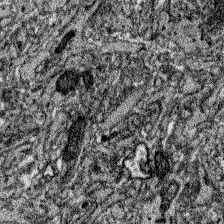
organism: Zebrafish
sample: Larval olfactory bulb